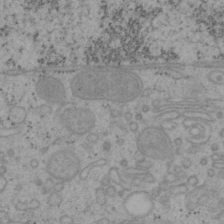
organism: Human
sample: HeLa cells